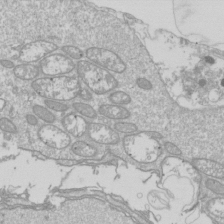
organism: Drosophila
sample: Cell division; meiosis; drosophila spermatocytes